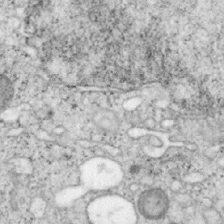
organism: Mouse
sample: OT-I killer T cells with ID8 ovarian cancer cells